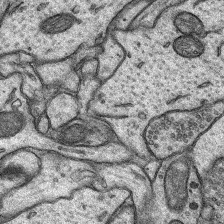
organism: Rat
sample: Hippocampus